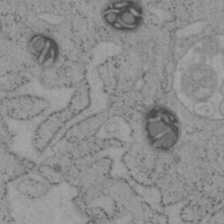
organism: Mouse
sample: OT-I killer T cells with ID8 ovarian cancer cells